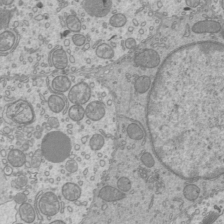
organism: Mouse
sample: Cilia; mouse epididymis